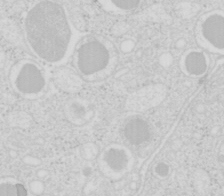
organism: Mouse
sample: Pancreas